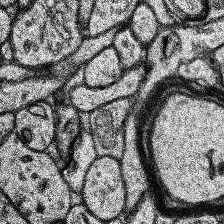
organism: Human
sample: Temporal Lobe